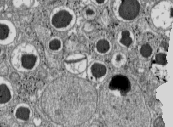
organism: C57BL Mouse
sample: Pancreatic islet